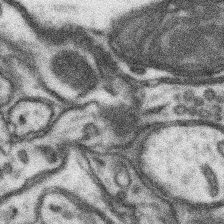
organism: Mouse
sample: Somatosensory cortex neuropil